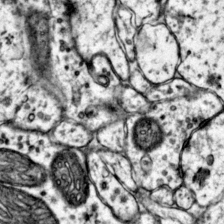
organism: Mouse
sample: Primary visual cortex